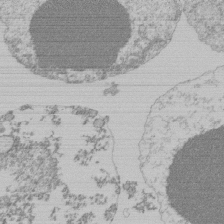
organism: Mouse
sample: Activated Pmel transgenic CD8+ T Cells